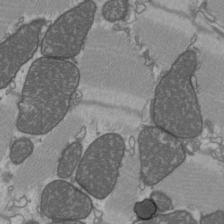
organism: C57BL Mouse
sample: Heart